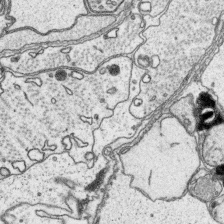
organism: Platynereis dumerilii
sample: Parapodia